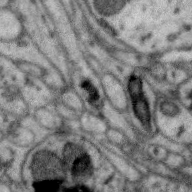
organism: Zebra finch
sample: Brain